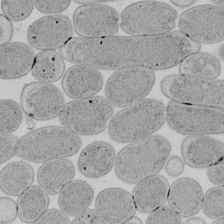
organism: E. coli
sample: Bacterial nucleoid